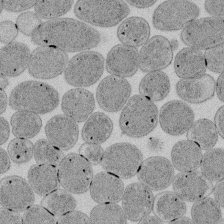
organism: E. coli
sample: Bacterial nucleoid